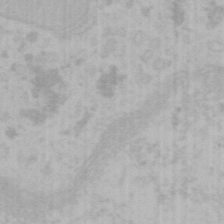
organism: Mouse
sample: Choroid plexus